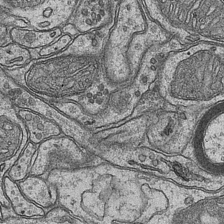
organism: Mouse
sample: CA1 Hippocampus